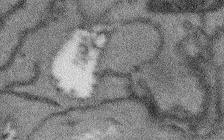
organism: Arabidopsis thaliana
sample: Root tip